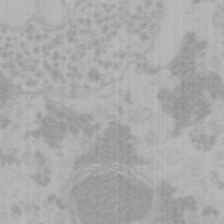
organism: Mouse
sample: Choroid plexus